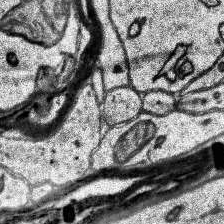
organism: Human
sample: Temporal Lobe